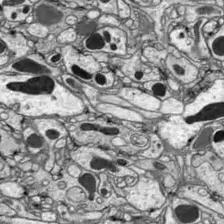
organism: Drosophila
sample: Optic lobe